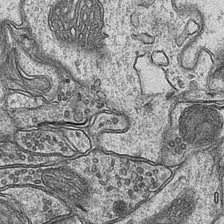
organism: Mouse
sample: CA1 Hippocampus